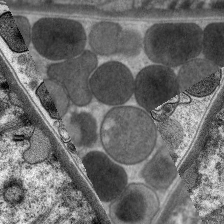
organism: C. elegans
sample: Pharynx